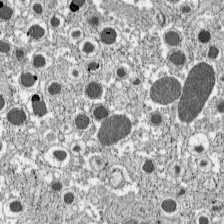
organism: C57BL Mouse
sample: Pancreatic islet